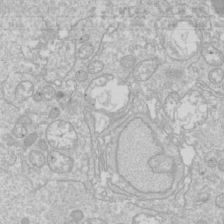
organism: Drosophila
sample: Cell division; meiosis; drosophila spermatocytes